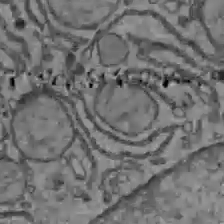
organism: C57BL Mouse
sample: Liver